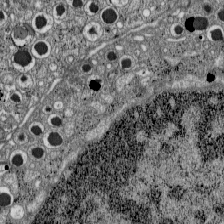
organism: C57BL Mouse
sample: Pancreatic islet